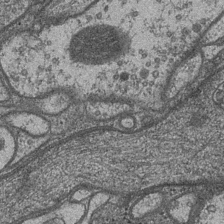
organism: Drosophila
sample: Optic medulla